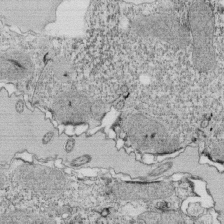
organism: Tetrahymena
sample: Cilia in tetrahymena